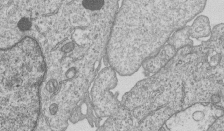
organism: Human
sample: MDA-MB-231 cells